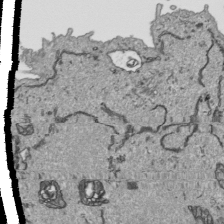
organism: Human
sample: Mitochondria in HCT116 cells